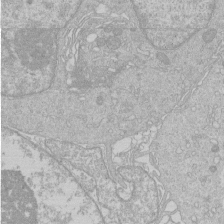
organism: Human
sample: Macrophage cells